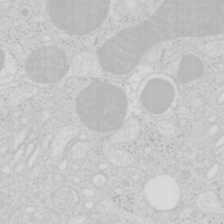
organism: Mouse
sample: Pancreas